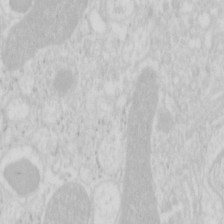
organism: Mouse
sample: Pancreas